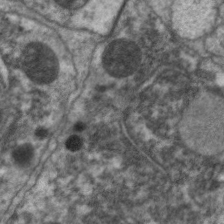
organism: C. elegans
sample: Pharynx